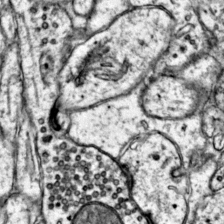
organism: Mouse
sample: Primary visual cortex